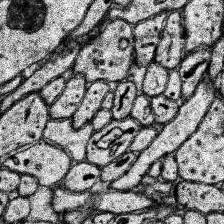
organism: Human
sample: Temporal Lobe